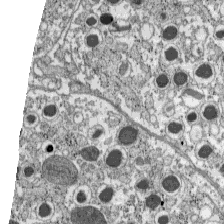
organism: C57BL Mouse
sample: Pancreatic islet